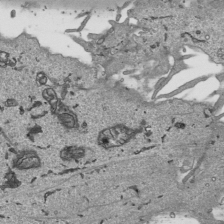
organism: Human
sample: Mitochondria in HCT116 cells